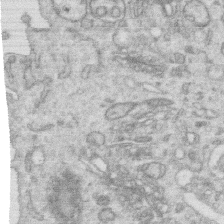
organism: Human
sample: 1205lu cells